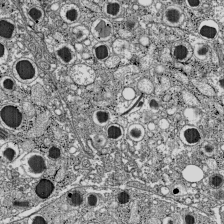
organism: C57BL Mouse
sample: Pancreatic islet